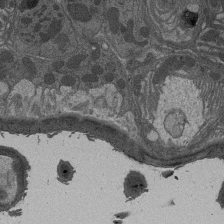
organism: Drosophila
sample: Antenna